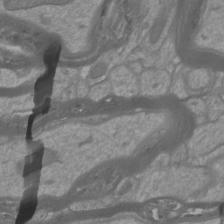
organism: Mouse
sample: Cortical neurons